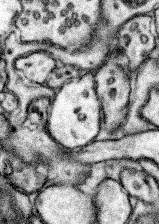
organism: Mouse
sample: Somatosensory cortex neuropil